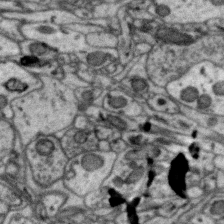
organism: Zebra finch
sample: Brain